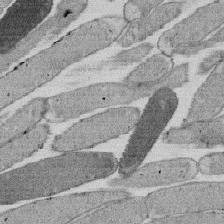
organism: E. coli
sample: Bacterial nucleoid